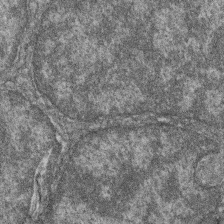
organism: Zebrafish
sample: Cilia; retinal pigment epithelium